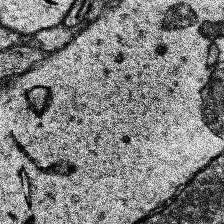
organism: Human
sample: Temporal Lobe